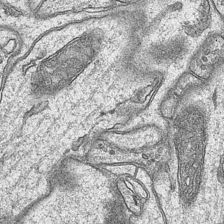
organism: Mouse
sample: CA1 Hippocampus